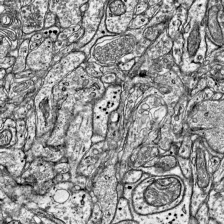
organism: Mouse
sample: Visual Cortex